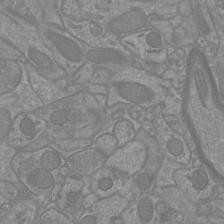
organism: Mouse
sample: Cortical neurons